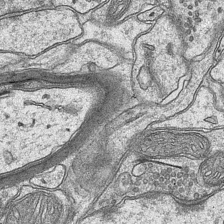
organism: Mouse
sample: CA1 Hippocampus